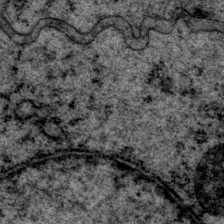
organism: P. pacificus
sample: Pharynx